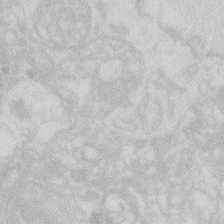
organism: Zebrafish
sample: Macrophage